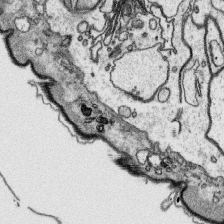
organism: Platynereis dumerilii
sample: Parapodia